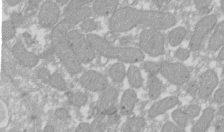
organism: Xenopus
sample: Cilia; centrioles in frog embryo cells